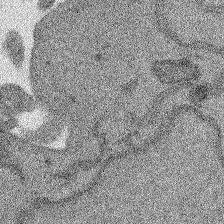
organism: Human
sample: HeLa cells